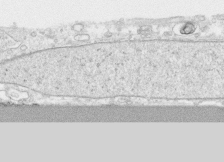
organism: Human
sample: CRL-1474